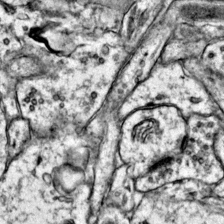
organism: Mouse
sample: Primary visual cortex